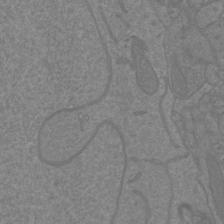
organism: Mouse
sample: Cortical neurons